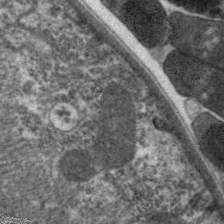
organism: C. elegans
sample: Pharynx